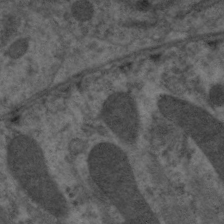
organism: C. elegans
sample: Pharynx